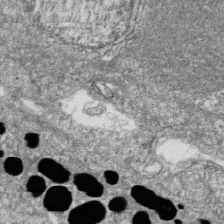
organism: Zebrafish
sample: Cilia; retinal pigment epithelium